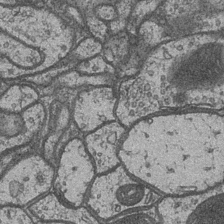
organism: Drosophila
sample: Optic medulla